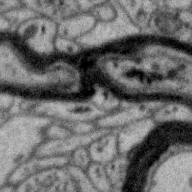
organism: Zebra finch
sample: Brain